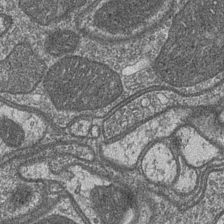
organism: Drosophila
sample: Optic medulla